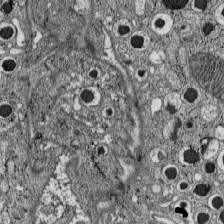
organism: C57BL Mouse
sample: Pancreatic islet